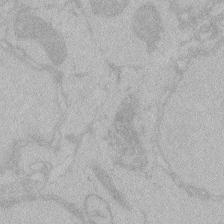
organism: Zebrafish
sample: Macrophage infected with Toxoplasma gondii